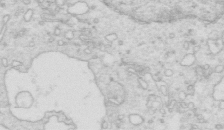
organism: Mouse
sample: Multiciliated cells